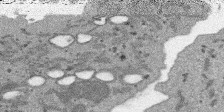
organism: Human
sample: Lung epithelial cells infected with SARS-CoV-2